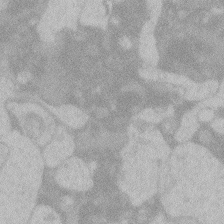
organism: Zebrafish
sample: Macrophage infected with Toxoplasma gondii